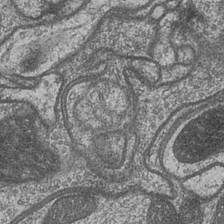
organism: Drosophila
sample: Optic medulla